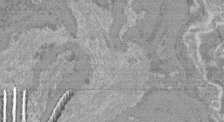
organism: Mouse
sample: Glomerulus